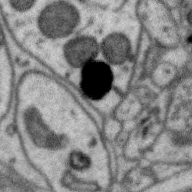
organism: Zebra finch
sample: Brain